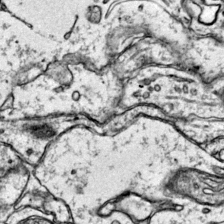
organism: Mouse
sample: Primary visual cortex